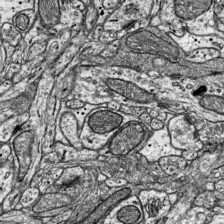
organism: Mouse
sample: Visual Cortex